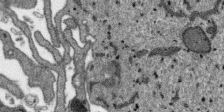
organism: Human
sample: Lung epithelial cells, uninfected (mock) control